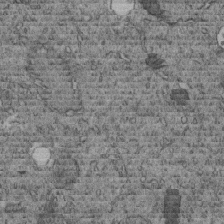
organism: C. elegans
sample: C. elegans embryo early stage